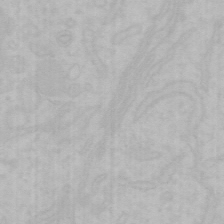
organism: Mouse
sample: Choroid plexus